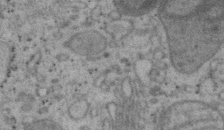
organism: Human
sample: HeLa cells